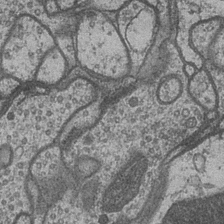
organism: Drosophila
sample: Optic medulla